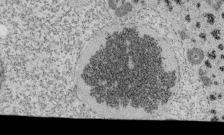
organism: Tetrahymena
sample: Cilia in tetrahymena